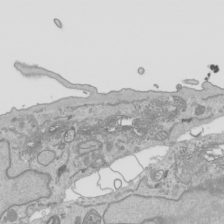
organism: Human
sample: Mitochondria in HCT116 cells